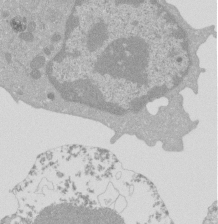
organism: Mouse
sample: Activated Pmel transgenic CD8+ T Cells